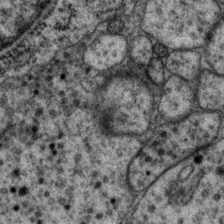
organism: P. pacificus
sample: Pharynx